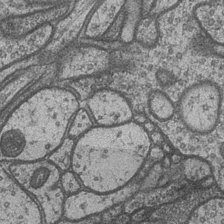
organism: Drosophila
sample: Optic medulla